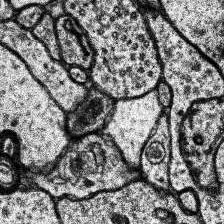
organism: Human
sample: Temporal Lobe